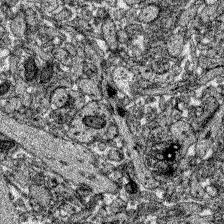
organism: Zebrafish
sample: Larval olfactory bulb